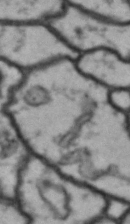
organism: Drosophila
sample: Brain